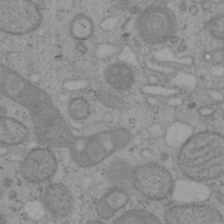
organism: Mouse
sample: OT-I killer T cells with ID8 ovarian cancer cells